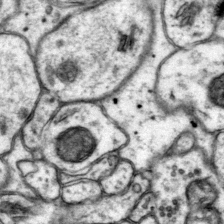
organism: Mouse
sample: Primary visual cortex